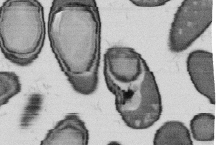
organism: B. subtilis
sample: Bacterial spore